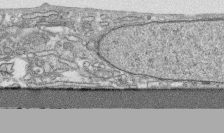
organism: Human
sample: CRL-1474